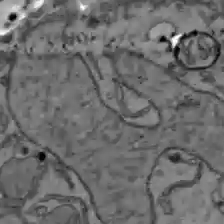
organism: C57BL Mouse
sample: Liver